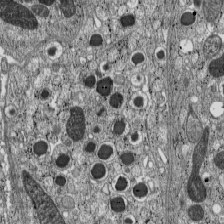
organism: C57BL Mouse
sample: Pancreatic islet